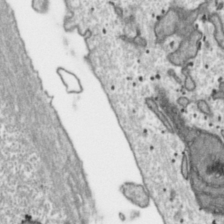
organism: Toxoplasma gondii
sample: Parasites in a vacuole inside a host cell